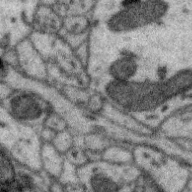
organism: Zebra finch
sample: Brain